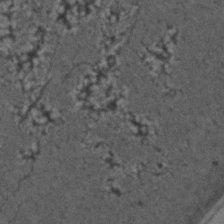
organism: C. elegans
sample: C. elegans embryo